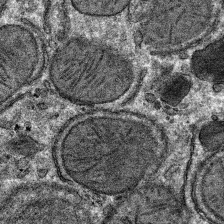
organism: Mouse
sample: Mouse hepatocytes